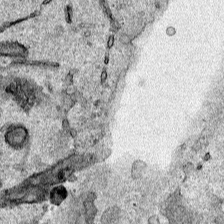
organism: Human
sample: Mitochondria in HCT116 cells